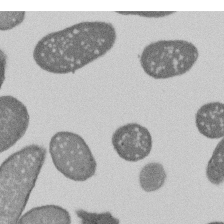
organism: E. coli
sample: Bacterial nucleoid